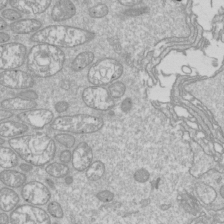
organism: Drosophila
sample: Cell division; meiosis; drosophila spermatocytes